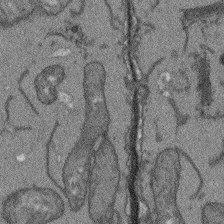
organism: Arabidopsis thaliana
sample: Root tip